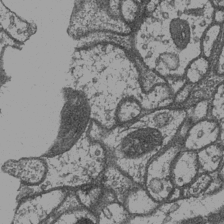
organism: Drosophila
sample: Optic medulla